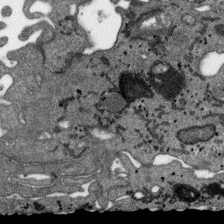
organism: Human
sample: Lung epithelial cells, uninfected (mock) control